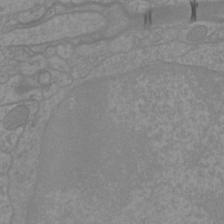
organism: Mouse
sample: Cortical neurons